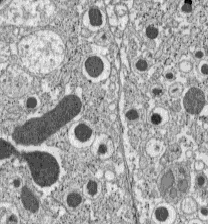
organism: C57BL Mouse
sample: Pancreatic islet